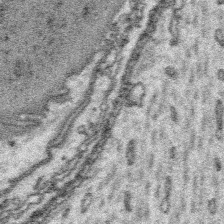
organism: Platynereis dumerilii